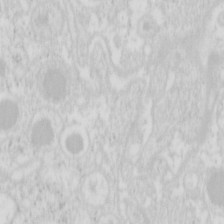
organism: Mouse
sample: Pancreas